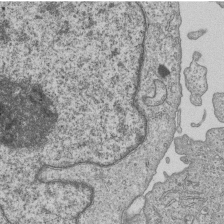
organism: Human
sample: MDA-MB-231 cells